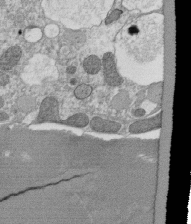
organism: Tetrahymena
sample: Cilia in tetrahymena